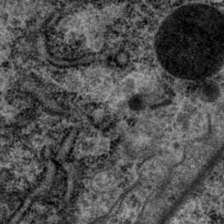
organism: P. pacificus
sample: Pharynx